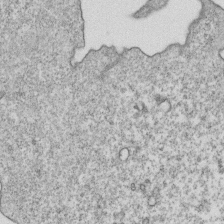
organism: Mouse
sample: Activated OT-1 CD8+ T cells